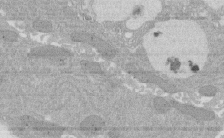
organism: Rat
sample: Salivary granule